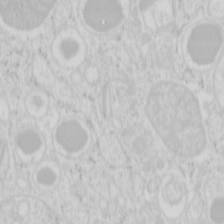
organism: Mouse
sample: Pancreas